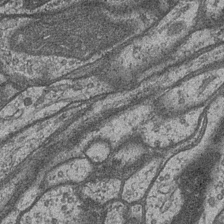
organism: Drosophila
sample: Optic medulla